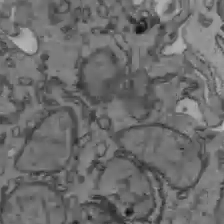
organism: C57BL Mouse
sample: Liver